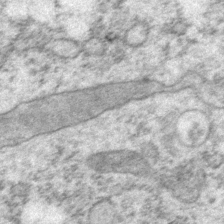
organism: P. pacificus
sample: Pharynx